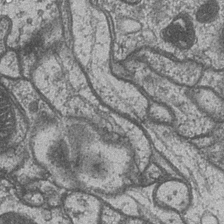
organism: Drosophila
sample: Optic medulla